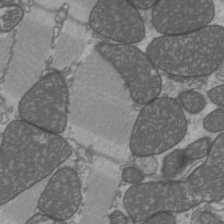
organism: C57BL Mouse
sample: Heart